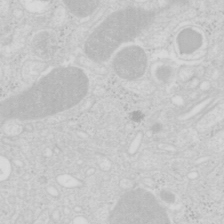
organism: Mouse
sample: Pancreas